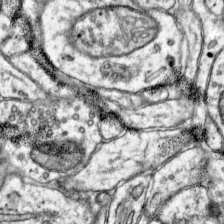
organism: Mouse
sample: Primary visual cortex